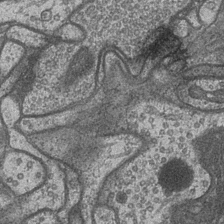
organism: Drosophila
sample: Optic medulla